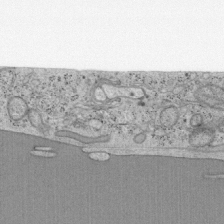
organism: Human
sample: HeLa cells